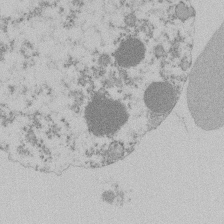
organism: Mouse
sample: Activated Pmel transgenic CD8+ T Cells